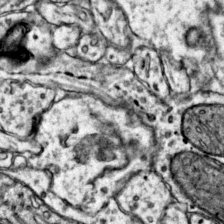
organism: Mouse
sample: Primary visual cortex